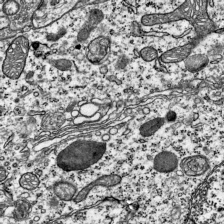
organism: Mouse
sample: Visual Cortex